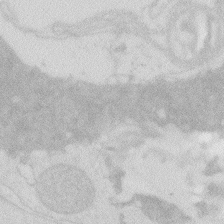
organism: Zebrafish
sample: Macrophage